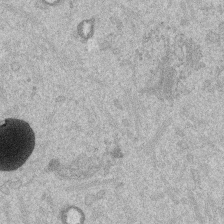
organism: Mouse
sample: Dividing mouse embryo 1 cell stage